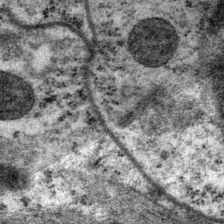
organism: P. pacificus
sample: Pharynx